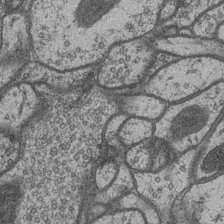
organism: Drosophila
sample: Optic medulla